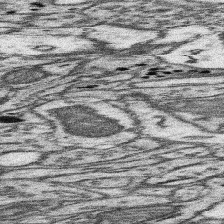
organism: Mouse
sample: Somatosensory cortex neuropil